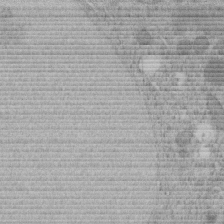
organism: C. elegans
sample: C. elegans embryo early stage